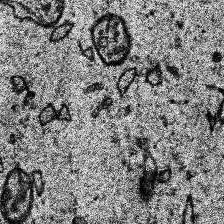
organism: Human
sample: Temporal Lobe